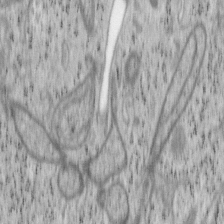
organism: Human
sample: HeLa cells